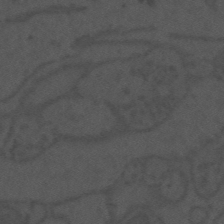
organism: Mouse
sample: Suprachiasmatic nucleus